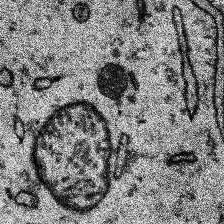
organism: Human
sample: Temporal Lobe